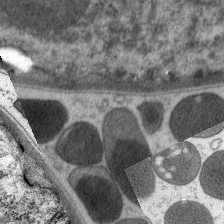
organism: C. elegans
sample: Pharynx